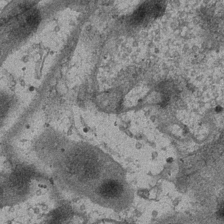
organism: Drosophila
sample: Optic medulla